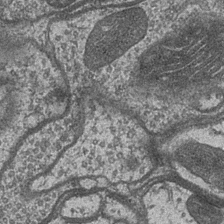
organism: Drosophila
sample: Optic medulla